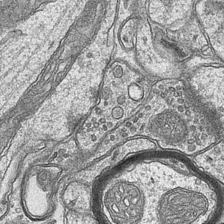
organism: Mouse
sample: CA1 Hippocampus